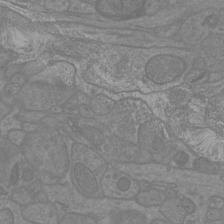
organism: Mouse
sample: Cortical neurons